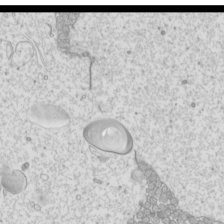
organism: Mouse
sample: Cilia; mouse epididymis